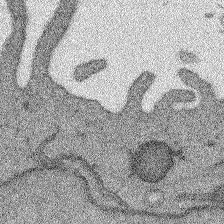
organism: Human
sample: HeLa cells